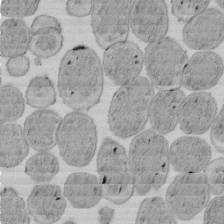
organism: E. coli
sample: Bacterial nucleoid